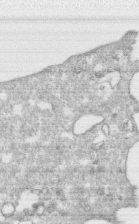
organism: Human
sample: CRL-1474